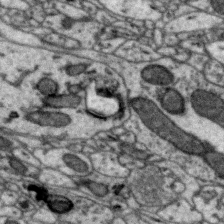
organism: Zebra finch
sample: Brain